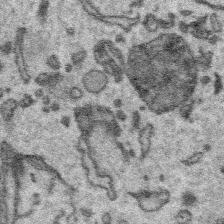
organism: Platynereis dumerilii